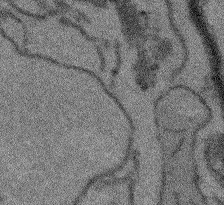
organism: Arabidopsis thaliana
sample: Root tip